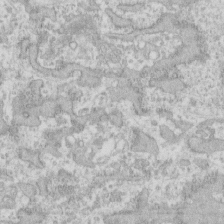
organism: Human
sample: Fibroblast cells